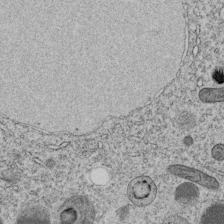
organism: C. elegans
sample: C. elegans embryo early stage